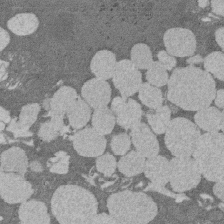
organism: Rat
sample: Salivary granule